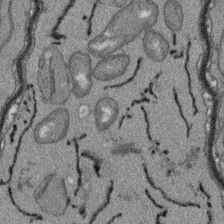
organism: Arabidopsis thaliana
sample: Root tip